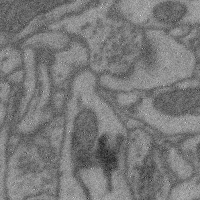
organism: Mouse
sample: Cerebral cortex